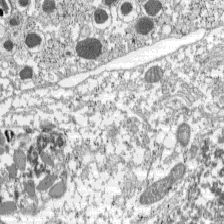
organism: C57BL Mouse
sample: Pancreatic islet